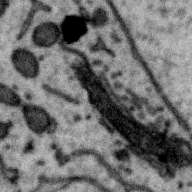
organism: Zebra finch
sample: Brain